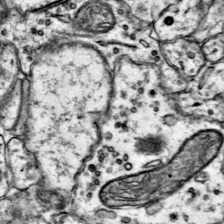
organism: Mouse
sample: Primary visual cortex